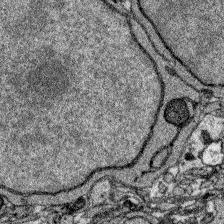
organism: Zebrafish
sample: Larval olfactory bulb